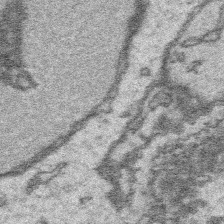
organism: Platynereis dumerilii